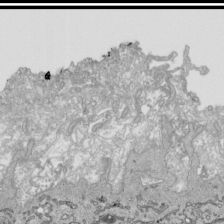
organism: Human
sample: Mitochondria in HCT116 cells